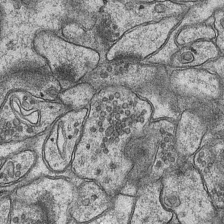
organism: Mouse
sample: CA1 Hippocampus